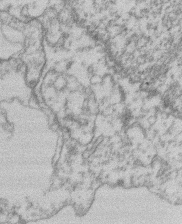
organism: Mouse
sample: T cell stromal cell synapse